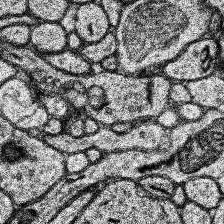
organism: Human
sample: Temporal Lobe